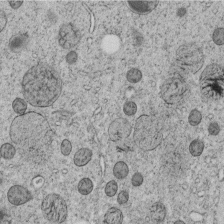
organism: C. elegans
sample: C. elegans embryo early stage